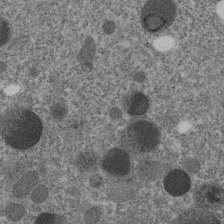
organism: C. elegans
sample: C. elegans embryo early stage